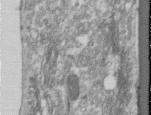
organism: Human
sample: Centriole in RPE cells